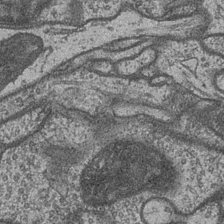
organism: Drosophila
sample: Optic medulla